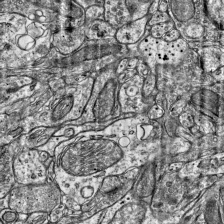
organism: Mouse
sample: Visual Cortex